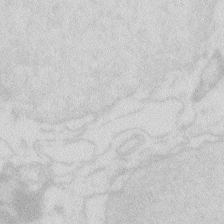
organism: Zebrafish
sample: Macrophage